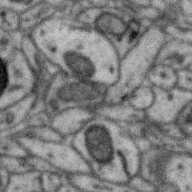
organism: Zebra finch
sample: Brain